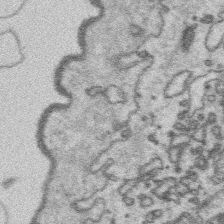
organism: Platynereis dumerilii